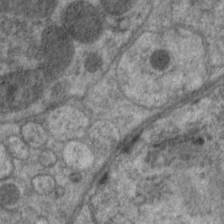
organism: C. elegans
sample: Pharynx